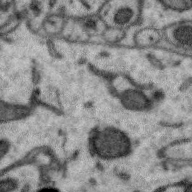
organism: Zebra finch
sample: Brain